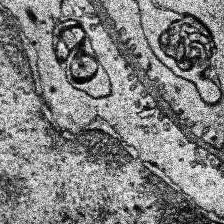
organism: Human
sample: Temporal Lobe